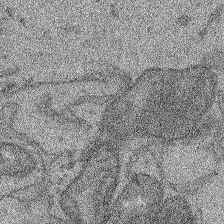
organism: Human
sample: HeLa cells